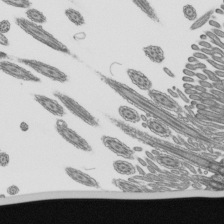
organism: Mouse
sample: Mouse epididymis efferent ductule cilia